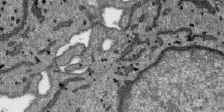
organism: Human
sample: Lung epithelial cells, uninfected (mock) control